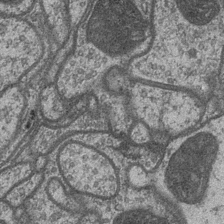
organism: Drosophila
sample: Optic medulla